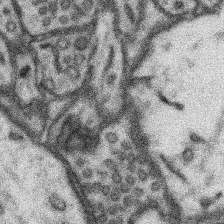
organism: Mouse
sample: Somatosensory cortex neuropil